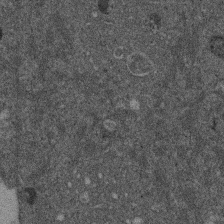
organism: Mouse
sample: Dividing mouse embryo 1 cell stage